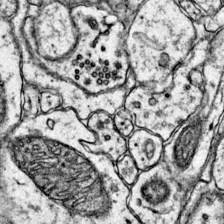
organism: Mouse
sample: Primary visual cortex